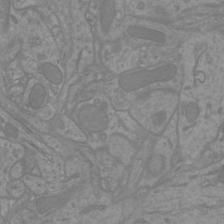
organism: Mouse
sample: Cortical neurons